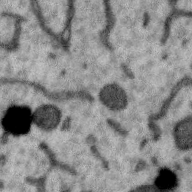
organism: Zebra finch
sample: Brain